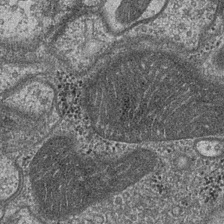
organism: Drosophila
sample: Optic medulla